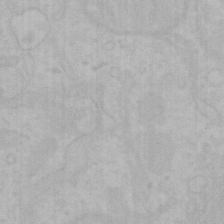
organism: Mouse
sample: Choroid plexus